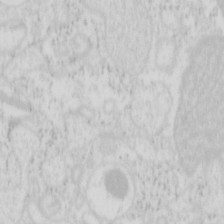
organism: Mouse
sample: Pancreas